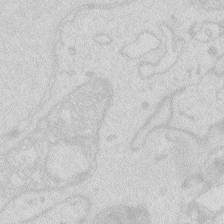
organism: Zebrafish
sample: Macrophage